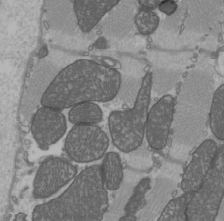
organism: C57BL Mouse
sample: Heart